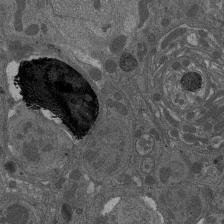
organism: Drosophila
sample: Antenna